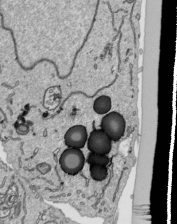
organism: Human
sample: Mitochondria in HCT116 cells